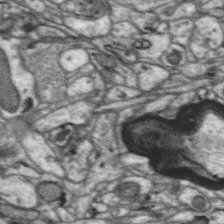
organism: Zebra finch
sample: Brain